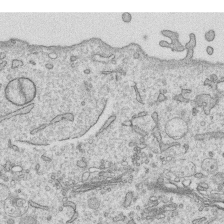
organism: Human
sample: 1205lu cells